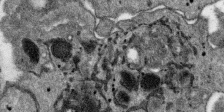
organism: Human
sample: Lung epithelial cells, uninfected (mock) control